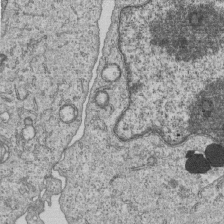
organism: Human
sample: MDA-MB-231 cells